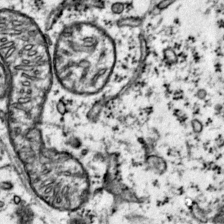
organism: Mouse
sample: Primary visual cortex